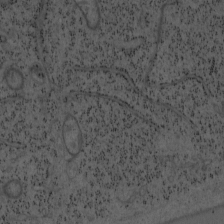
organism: Mouse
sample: OT-I killer T cells with ID8 ovarian cancer cells